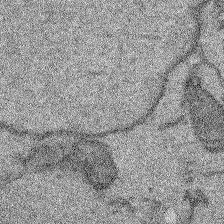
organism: Human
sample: HeLa cells